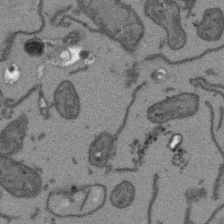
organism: Arabidopsis thaliana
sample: Root tip